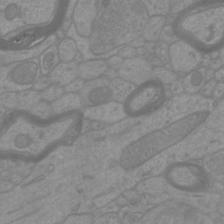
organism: Mouse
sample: Cortical neurons